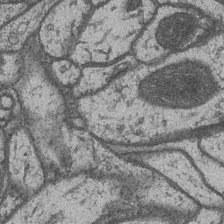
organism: Drosophila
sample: Optic medulla